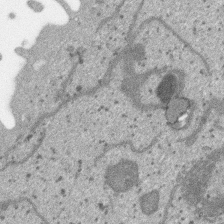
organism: Human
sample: Lung epithelial cells infected with SARS-CoV-2